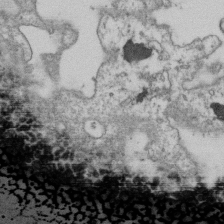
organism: Human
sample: Activated Jurkat CD4+ T cells